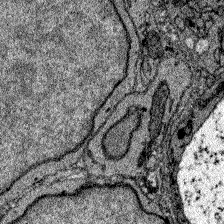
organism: Zebrafish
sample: Larval olfactory bulb